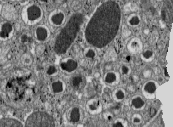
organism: C57BL Mouse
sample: Pancreatic islet